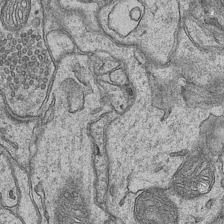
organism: Mouse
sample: CA1 Hippocampus